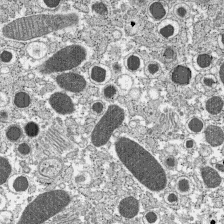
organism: C57BL Mouse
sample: Pancreatic islet